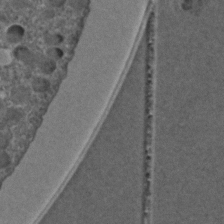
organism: C. elegans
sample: C. elegans embryo